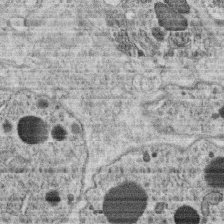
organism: C. elegans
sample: C. elegans oocyte; sperm cells